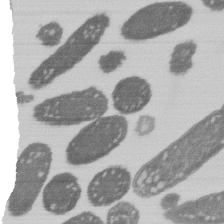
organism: E. coli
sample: Bacterial nucleoid